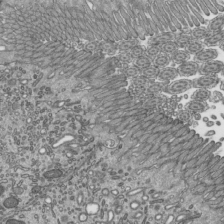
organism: Mouse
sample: Mouse epididymis efferent ductule cilia